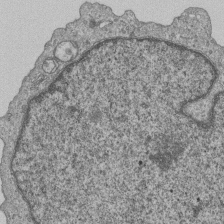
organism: Human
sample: MDA-MB-231 cells